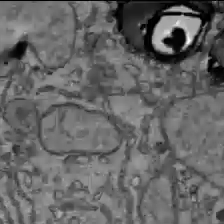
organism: C57BL Mouse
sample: Liver